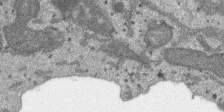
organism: Human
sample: Lung epithelial cells infected with SARS-CoV-2